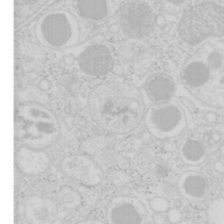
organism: Mouse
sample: Pancreas